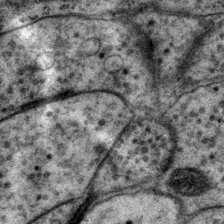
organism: P. pacificus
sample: Pharynx